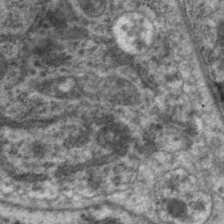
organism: C. elegans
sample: Pharynx